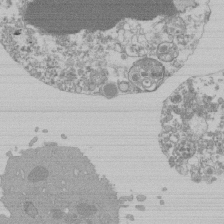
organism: Mouse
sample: Activated Pmel transgenic CD8+ T Cells